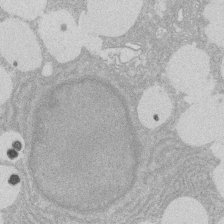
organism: Rat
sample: Salivary granule